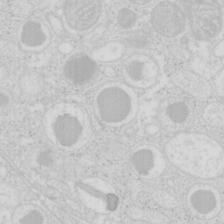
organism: Mouse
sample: Pancreas